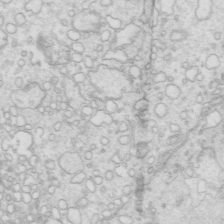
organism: Mouse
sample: Multiciliated cells